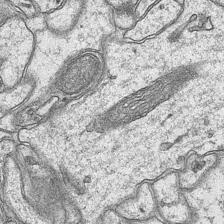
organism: Mouse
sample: CA1 Hippocampus